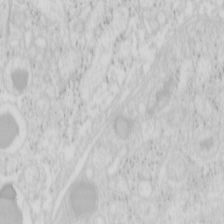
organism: Mouse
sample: Pancreas